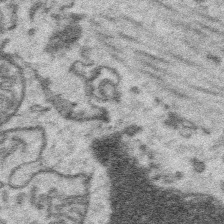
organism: Platynereis dumerilii